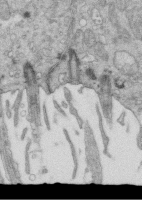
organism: Mouse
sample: Multiciliated cells